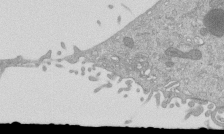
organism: Mouse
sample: ED-1 cell nuclei; centrioles